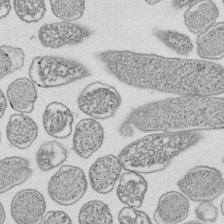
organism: E. coli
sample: Bacterial nucleoid